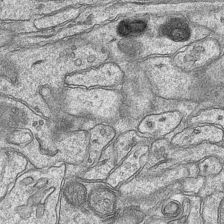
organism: Mouse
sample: CA1 Hippocampus